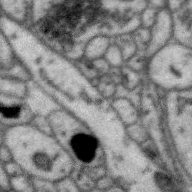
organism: Zebra finch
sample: Brain